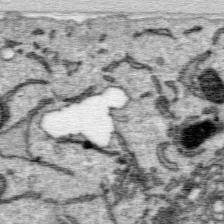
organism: Human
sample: HeLa cells